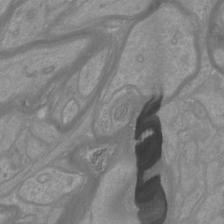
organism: Mouse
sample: Cortical neurons